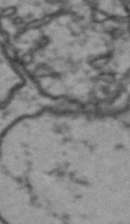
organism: Drosophila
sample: Brain